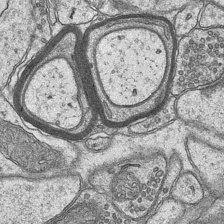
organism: Mouse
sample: CA1 Hippocampus